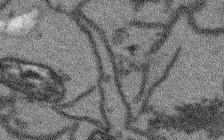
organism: Arabidopsis thaliana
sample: Root tip